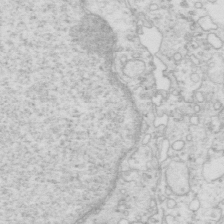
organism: Mouse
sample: Multiciliated cells